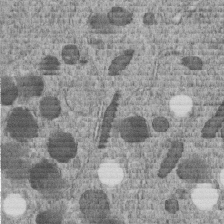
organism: C. elegans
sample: C. elegans embryo early stage